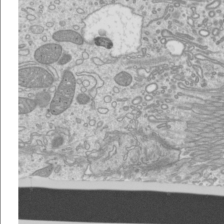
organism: Mouse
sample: Cilia; mouse epididymis